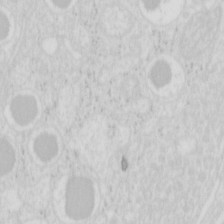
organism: Mouse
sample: Pancreas